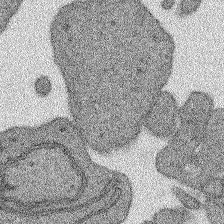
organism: Human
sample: HeLa cells